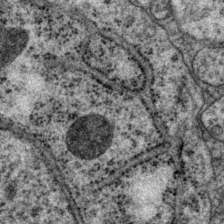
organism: P. pacificus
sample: Pharynx